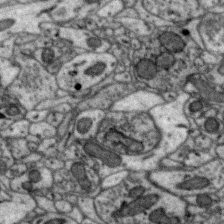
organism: Zebra finch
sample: Brain